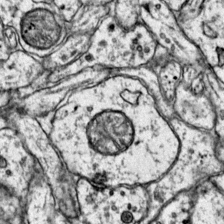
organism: Mouse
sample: Primary visual cortex